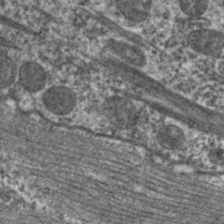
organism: C. elegans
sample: Pharynx